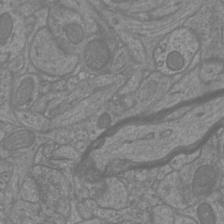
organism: Mouse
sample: Cortical neurons